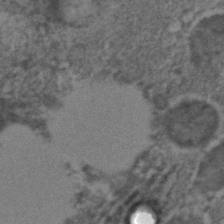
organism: C. elegans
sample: C. elegans embryo